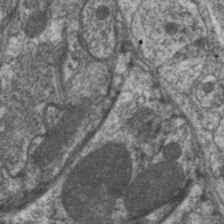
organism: C. elegans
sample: Pharynx